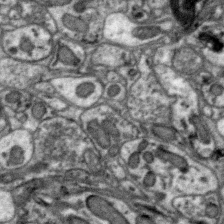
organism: Zebra finch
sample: Brain